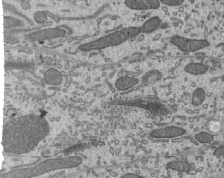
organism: Mouse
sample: Mouse epididymis efferent ductule cilia